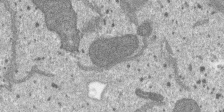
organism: Human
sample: Lung epithelial cells infected with SARS-CoV-2